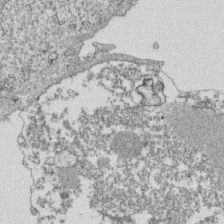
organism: Human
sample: HeLa cell HIV synapse